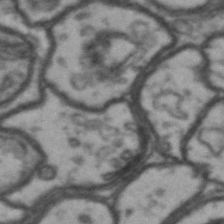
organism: Drosophila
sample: Brain